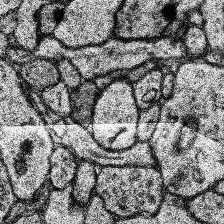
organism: Human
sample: Temporal Lobe